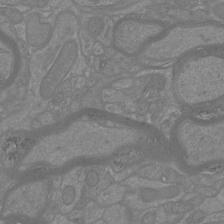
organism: Mouse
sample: Cortical neurons